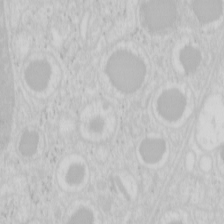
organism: Mouse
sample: Pancreas